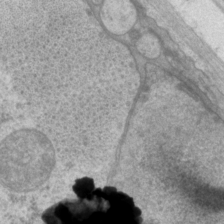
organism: P. pacificus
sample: Pharynx